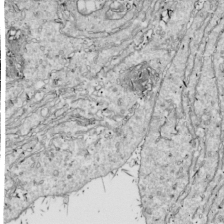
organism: Drosophila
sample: Cell division; meiosis; drosophila spermatocytes